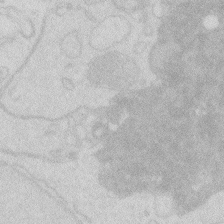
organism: Zebrafish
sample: Macrophage